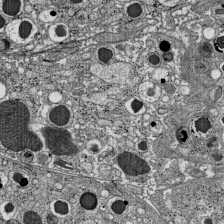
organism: C57BL Mouse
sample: Pancreatic islet